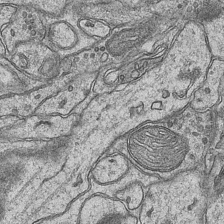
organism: Mouse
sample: CA1 Hippocampus